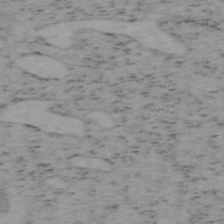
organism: Mouse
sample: OT-I killer T cells with ID8 ovarian cancer cells